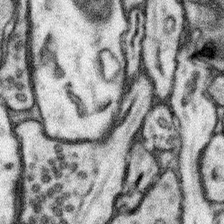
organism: Mouse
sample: Somatosensory cortex neuropil